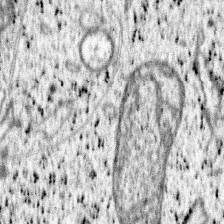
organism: Human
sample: HeLa cells